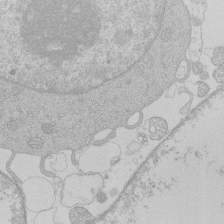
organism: Human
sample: Macrophage cells